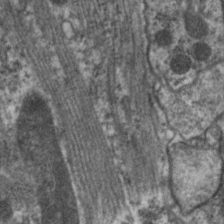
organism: C. elegans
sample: Pharynx